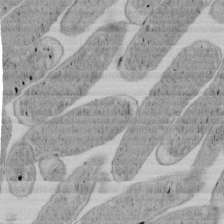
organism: E. coli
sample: Bacterial nucleoid